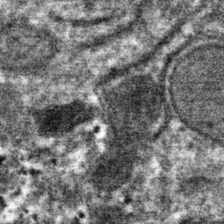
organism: Mouse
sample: Mouse hepatocytes